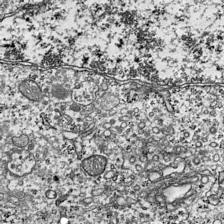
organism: Mouse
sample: Visual Cortex